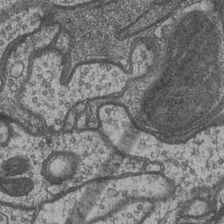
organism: Drosophila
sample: Optic medulla